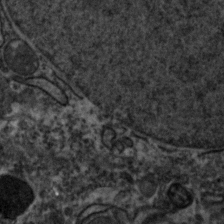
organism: Zebrafish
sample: Zebrafish embryo